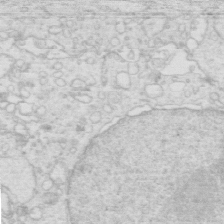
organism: Mouse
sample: Multiciliated cells